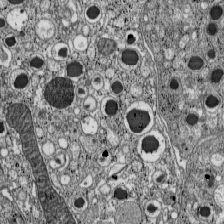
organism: C57BL Mouse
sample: Pancreatic islet